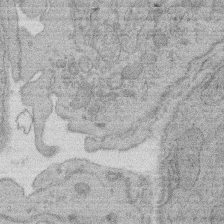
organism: Rat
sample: Salivary granule